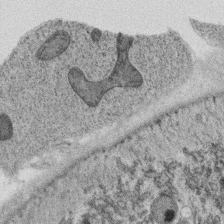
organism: C. elegans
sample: C. elegans oocyte; sperm cells